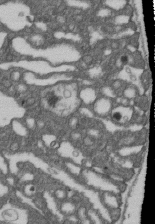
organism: Drosophila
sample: Nephrocyte